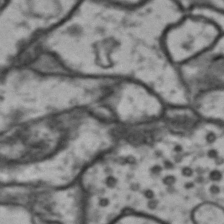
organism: Drosophila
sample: Brain